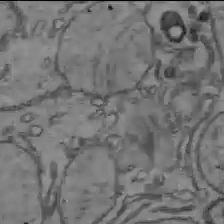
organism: C57BL Mouse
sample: Liver